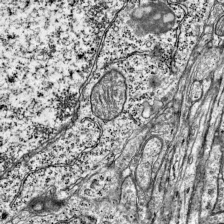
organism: Mouse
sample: Visual Cortex